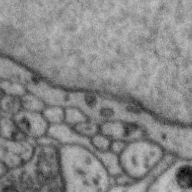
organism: Zebra finch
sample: Brain